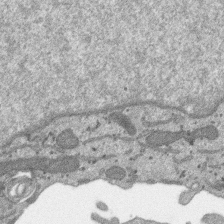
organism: Human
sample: Lung epithelial cells infected with SARS-CoV-2